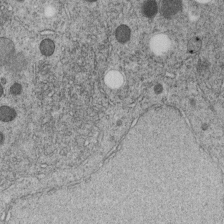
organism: C. elegans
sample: C. elegans embryo early stage